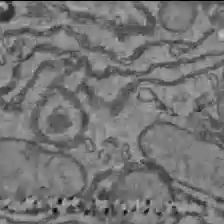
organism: C57BL Mouse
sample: Liver